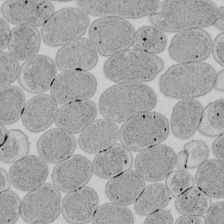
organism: E. coli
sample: Bacterial nucleoid